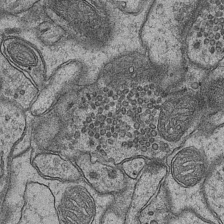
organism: Mouse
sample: CA1 Hippocampus